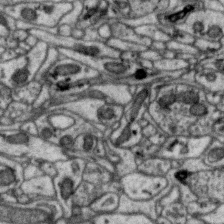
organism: Zebra finch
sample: Brain